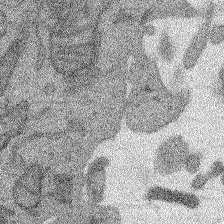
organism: Human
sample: HeLa cells